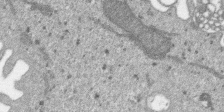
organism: Human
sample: Lung epithelial cells infected with SARS-CoV-2